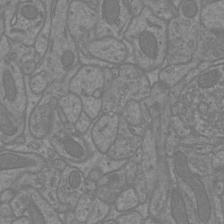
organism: Mouse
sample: Cortical neurons